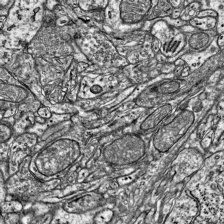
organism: Mouse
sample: Visual Cortex